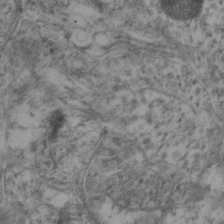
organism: Mouse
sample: Neocortex